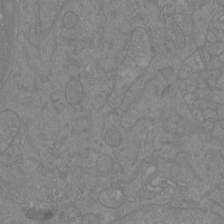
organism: Mouse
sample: Cortical neurons